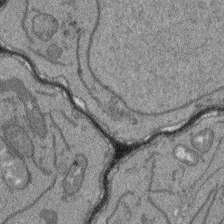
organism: Arabidopsis thaliana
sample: Root tip